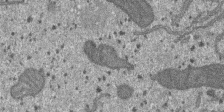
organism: Human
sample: Lung epithelial cells infected with SARS-CoV-2